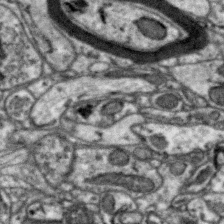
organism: Zebra finch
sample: Brain